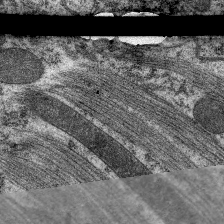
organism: C. elegans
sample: Pharynx